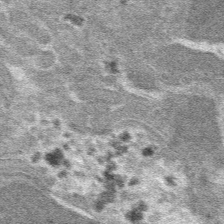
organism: Mouse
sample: Mouse hepatocytes